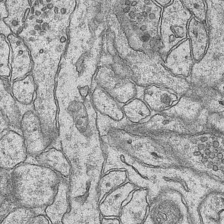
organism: Mouse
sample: CA1 Hippocampus